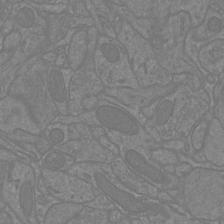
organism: Mouse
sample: Cortical neurons